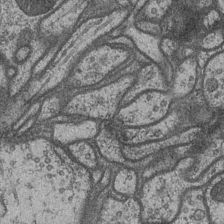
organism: Drosophila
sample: Optic medulla